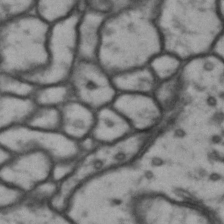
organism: Drosophila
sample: Brain